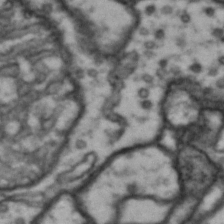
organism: Drosophila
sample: Brain